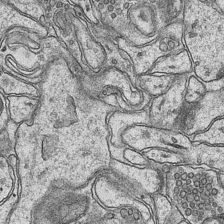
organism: Mouse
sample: CA1 Hippocampus